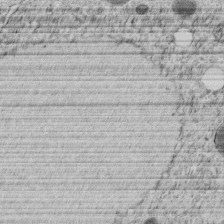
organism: C. elegans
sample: C. elegans embryo early stage